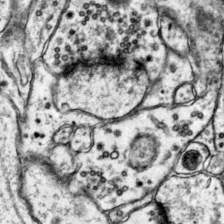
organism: Mouse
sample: Primary visual cortex